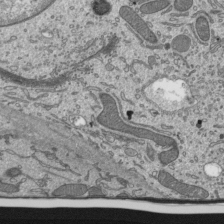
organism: Mouse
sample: Mouse epididymis efferent ductule cilia